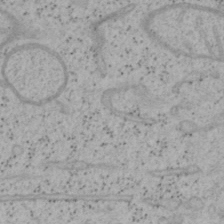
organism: Human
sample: HeLa cells